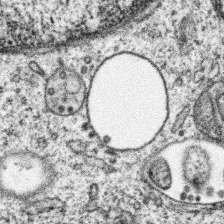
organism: Human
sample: HeLa cells